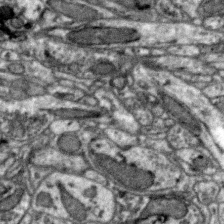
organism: Zebra finch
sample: Brain